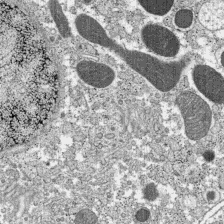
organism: C57BL Mouse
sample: Pancreatic islet